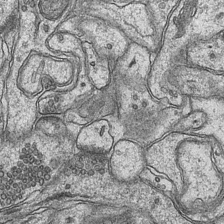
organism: Mouse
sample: CA1 Hippocampus